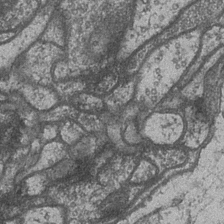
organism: Drosophila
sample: Optic medulla